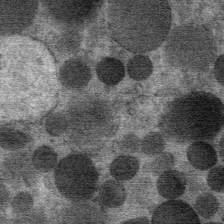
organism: Mouse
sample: Mouse Salivary gland